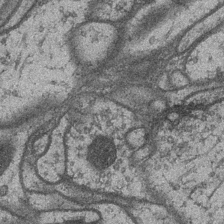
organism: Drosophila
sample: Optic medulla